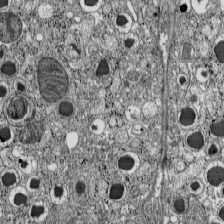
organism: C57BL Mouse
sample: Pancreatic islet